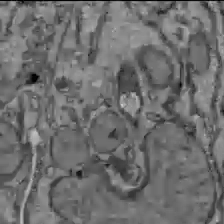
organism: C57BL Mouse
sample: Liver